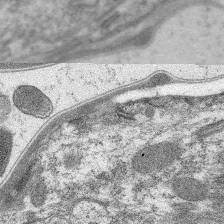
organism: C. elegans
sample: Pharynx